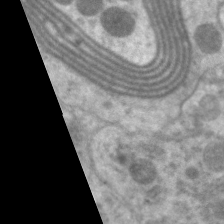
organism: C. elegans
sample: Pharynx